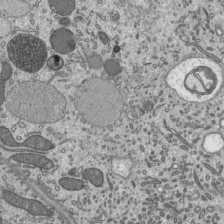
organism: Mouse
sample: Mouse epididymis efferent ductule cilia